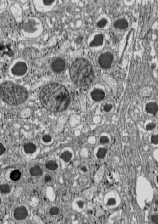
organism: C57BL Mouse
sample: Pancreatic islet